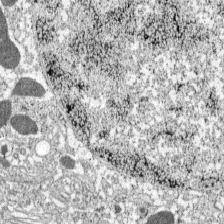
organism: C57BL Mouse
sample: Pancreatic islet